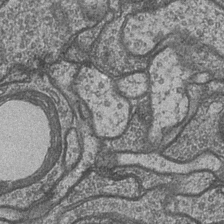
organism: Drosophila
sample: Optic medulla